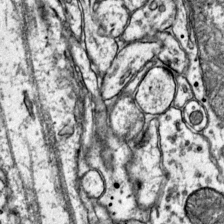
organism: Mouse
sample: Primary visual cortex